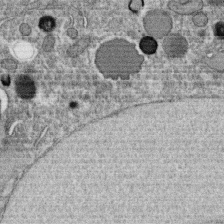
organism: C. elegans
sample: C. elegans oocyte; sperm cells